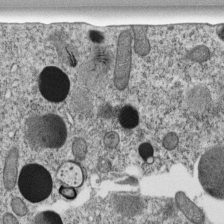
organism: C. elegans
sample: C. elegans embryo early stage